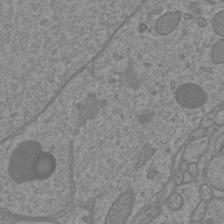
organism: Mouse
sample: Cortical neurons